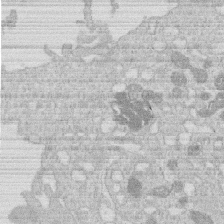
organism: Human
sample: Macrophage cells